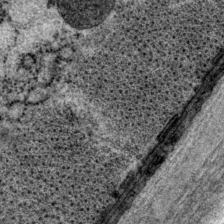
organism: P. pacificus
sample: Pharynx